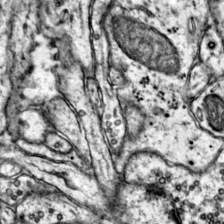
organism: Mouse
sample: Primary visual cortex